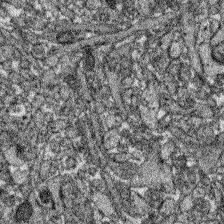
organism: Zebrafish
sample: Larval olfactory bulb